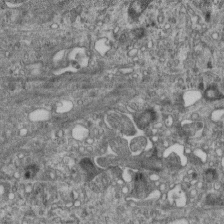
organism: Mouse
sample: Centriole in ependymal cells